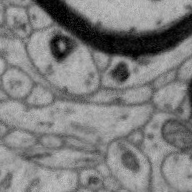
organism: Zebra finch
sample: Brain